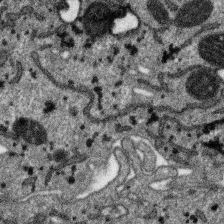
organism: Human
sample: Lung epithelial cells infected with SARS-CoV-2